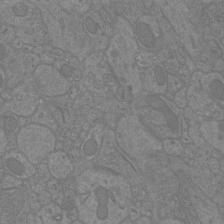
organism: Mouse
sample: Cortical neurons